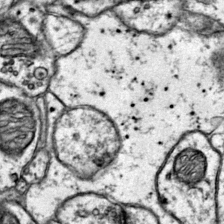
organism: Mouse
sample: Primary visual cortex